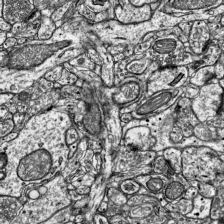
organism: Mouse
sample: Visual Cortex